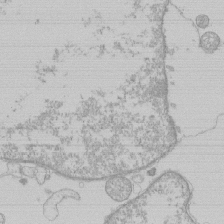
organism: Human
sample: Macrophage cells